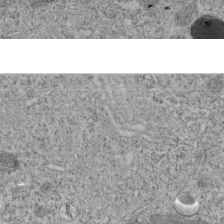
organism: C. elegans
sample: C. elegans embryo early stage